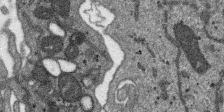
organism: Human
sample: Lung epithelial cells infected with SARS-CoV-2